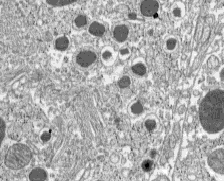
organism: C57BL Mouse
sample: Pancreatic islet